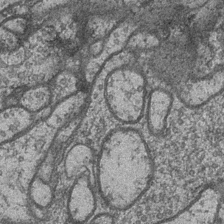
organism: Drosophila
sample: Optic medulla